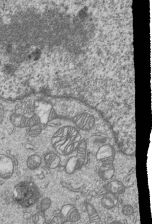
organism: Human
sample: MDA-MB-231 cells